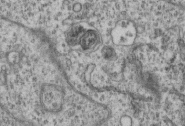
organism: Mouse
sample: Centriole in ependymal cells